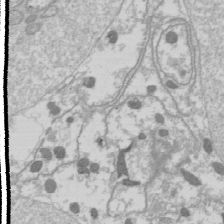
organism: Drosophila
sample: Cell division; meiosis; drosophila spermatocytes